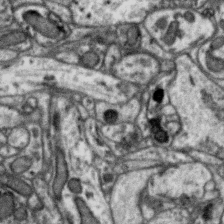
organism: Zebra finch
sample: Brain